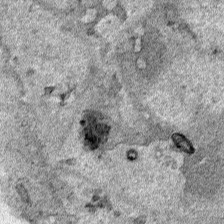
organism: Human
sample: Mitochondria in HCT116 cells